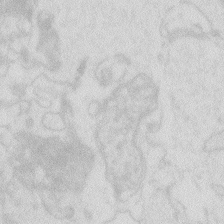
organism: Zebrafish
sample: Macrophage